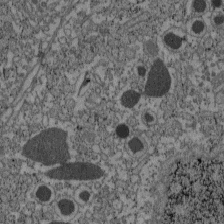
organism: C57BL Mouse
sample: Pancreatic islet